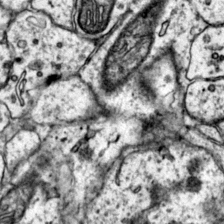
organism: Mouse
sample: Primary visual cortex